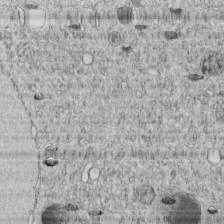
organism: C. elegans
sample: C. elegans embryo early stage